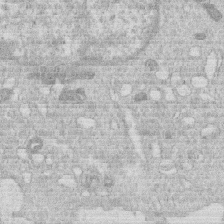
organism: Human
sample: Macrophage cells